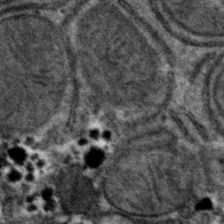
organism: Mouse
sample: Mouse hepatocytes